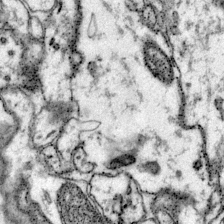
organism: Mouse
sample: Primary visual cortex